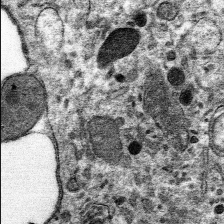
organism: Mouse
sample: Mouse hepatocytes